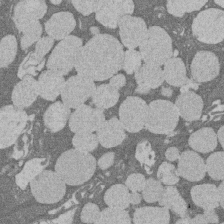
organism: Rat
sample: Salivary granule